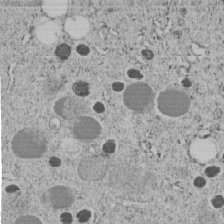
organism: C. elegans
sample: C. elegans embryo early stage